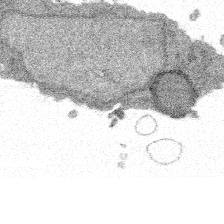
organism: Spongilla lacustris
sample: Multiple